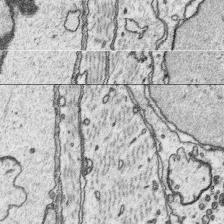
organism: Platynereis dumerilii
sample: Parapodia